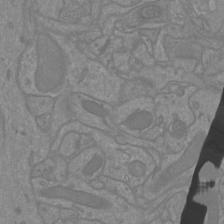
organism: Mouse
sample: Cortical neurons